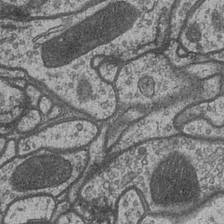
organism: Drosophila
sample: Optic medulla